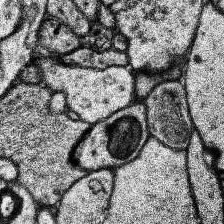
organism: Human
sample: Temporal Lobe